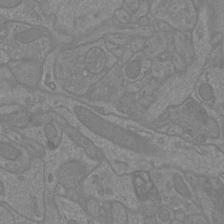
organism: Mouse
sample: Cortical neurons